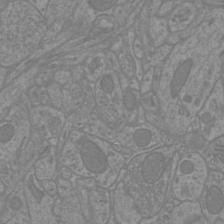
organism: Mouse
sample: Cortical neurons